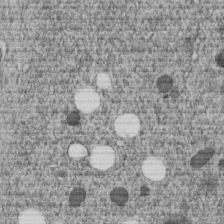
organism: C. elegans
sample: C. elegans embryo early stage